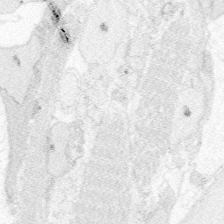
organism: Zebrafish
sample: Whole-Brain